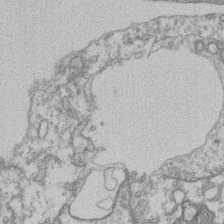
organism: Mouse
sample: T cell stromal cell synapse